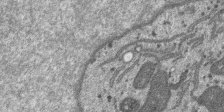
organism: Human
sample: Lung epithelial cells infected with SARS-CoV-2